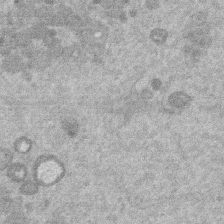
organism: Mouse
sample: Dividing mouse embryo 1 cell stage